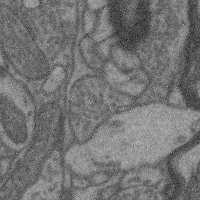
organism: Mouse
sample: Cerebral cortex